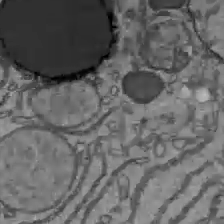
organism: C57BL Mouse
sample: Liver